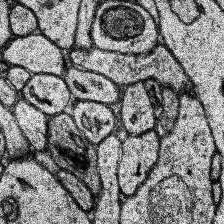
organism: Human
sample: Temporal Lobe